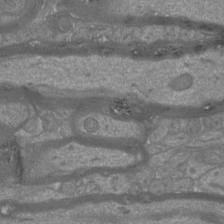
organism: Mouse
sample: Cortical neurons